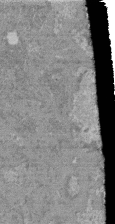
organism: Mouse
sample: Glomerulus